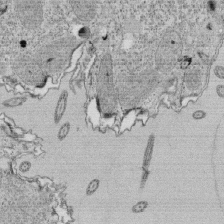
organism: Tetrahymena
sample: Cilia in tetrahymena